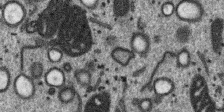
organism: Human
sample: Lung epithelial cells infected with SARS-CoV-2